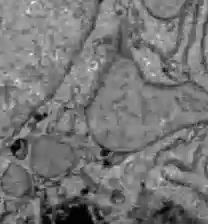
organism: C57BL Mouse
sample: Liver